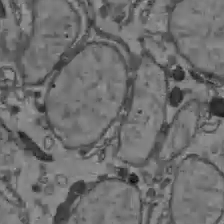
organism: C57BL Mouse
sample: Liver